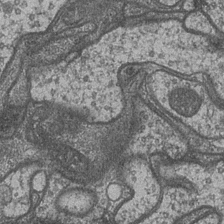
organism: Drosophila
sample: Optic medulla